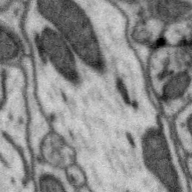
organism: Zebra finch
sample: Brain